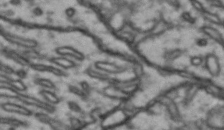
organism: Drosophila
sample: Brain